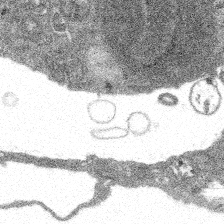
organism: Spongilla lacustris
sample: Multiple